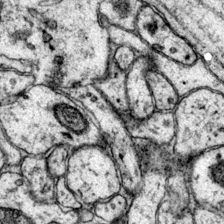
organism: Mouse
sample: Primary visual cortex